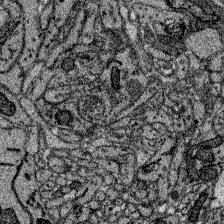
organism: Zebrafish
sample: Larval olfactory bulb